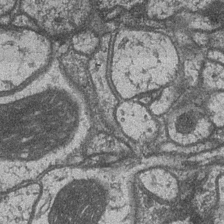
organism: Drosophila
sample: Optic medulla